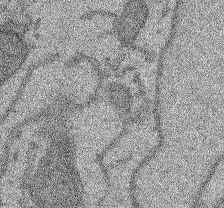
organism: Human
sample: HeLa cells